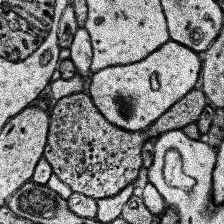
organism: Human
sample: Temporal Lobe